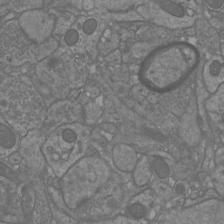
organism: Mouse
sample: Cortical neurons